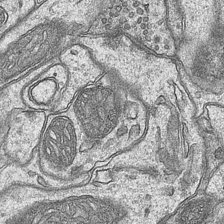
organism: Mouse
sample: CA1 Hippocampus